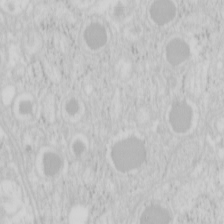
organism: Mouse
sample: Pancreas